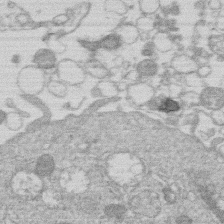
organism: Human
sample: Macrophage cells